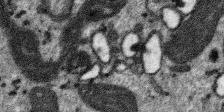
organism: Human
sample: Lung epithelial cells infected with SARS-CoV-2